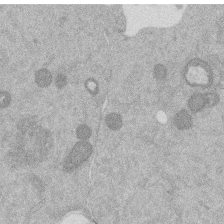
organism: Mouse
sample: Dividing mouse embryo 1 cell stage